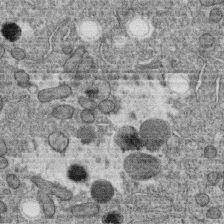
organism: C. elegans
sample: C. elegans oocyte; sperm cells